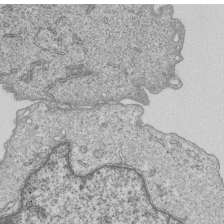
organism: Human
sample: MDA-MB-231 cells